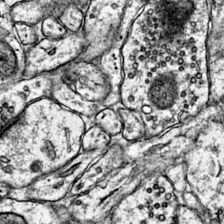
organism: Mouse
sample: Primary visual cortex